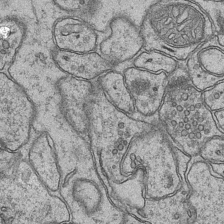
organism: Mouse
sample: CA1 Hippocampus